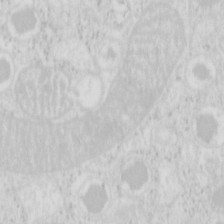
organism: Mouse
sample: Pancreas